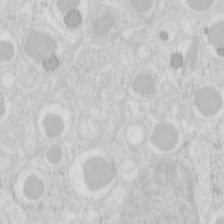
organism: Mouse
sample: Pancreas